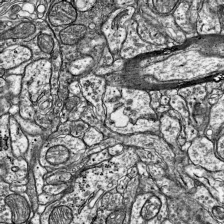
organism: Mouse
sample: Visual Cortex